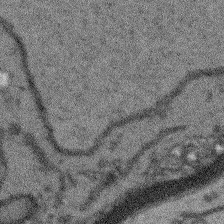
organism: Arabidopsis thaliana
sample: Root tip